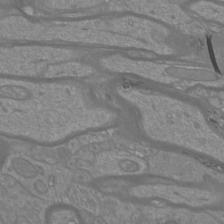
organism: Mouse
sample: Cortical neurons